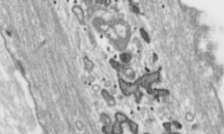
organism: Toxoplasma gondii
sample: Parasites in a vacuole inside a host cell